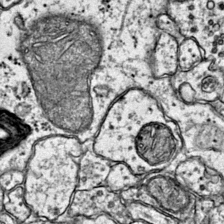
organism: Mouse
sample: Primary visual cortex